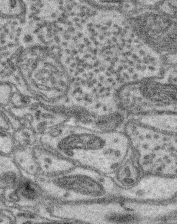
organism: Mouse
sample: Retina